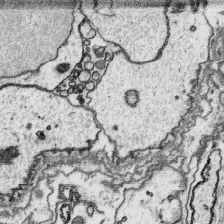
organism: Platynereis dumerilii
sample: Parapodia